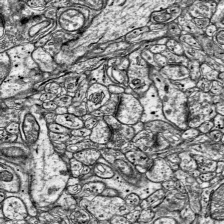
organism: Mouse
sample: Visual Cortex